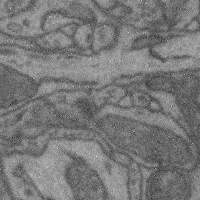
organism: Mouse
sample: Cerebral cortex